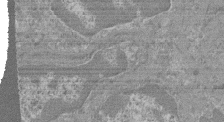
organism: Mouse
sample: Glomerulus